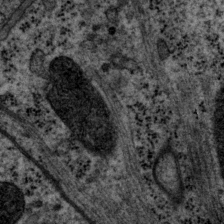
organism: P. pacificus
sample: Pharynx